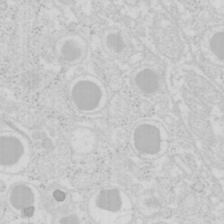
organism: Mouse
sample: Pancreas